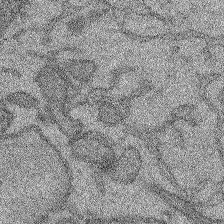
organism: Human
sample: HeLa cells